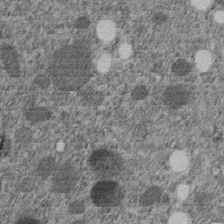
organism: C. elegans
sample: C. elegans embryo early stage